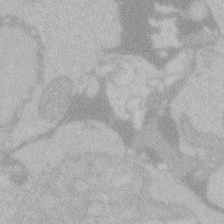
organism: Zebrafish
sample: Macrophage infected with Toxoplasma gondii